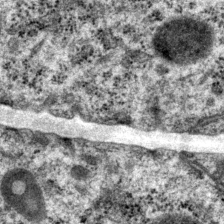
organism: P. pacificus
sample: Pharynx